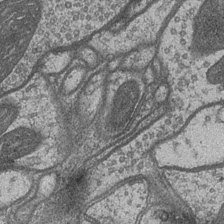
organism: Drosophila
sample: Optic medulla